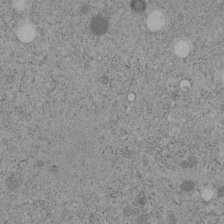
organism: C. elegans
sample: C. elegans embryo early stage